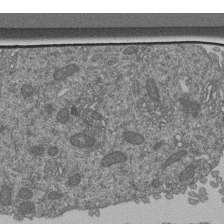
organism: Human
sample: Retinal organoid Rod and Cone cells